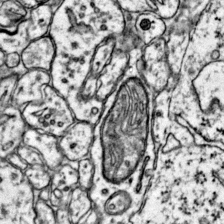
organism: Mouse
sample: Primary visual cortex